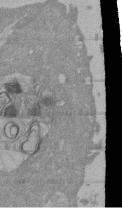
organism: Mouse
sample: ED-1 cell nuclei; centrioles